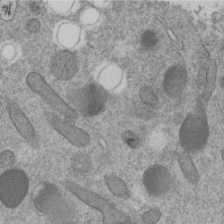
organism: C. elegans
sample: C. elegans embryo early stage